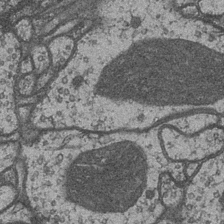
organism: Drosophila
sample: Optic medulla